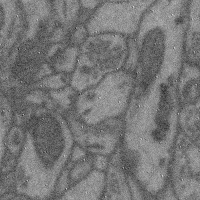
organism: Mouse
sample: Cerebral cortex